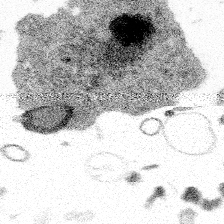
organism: Spongilla lacustris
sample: Multiple